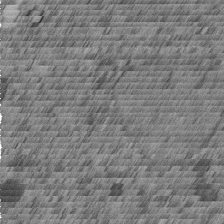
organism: C. elegans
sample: C. elegans embryo early stage